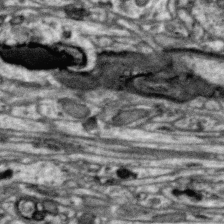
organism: Zebra finch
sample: Brain